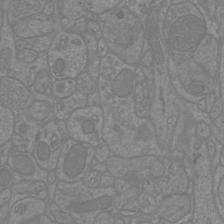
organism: Mouse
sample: Cortical neurons